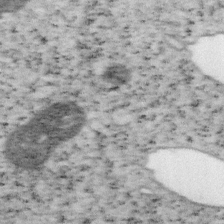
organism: Mouse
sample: OT-I killer T cells with ID8 ovarian cancer cells